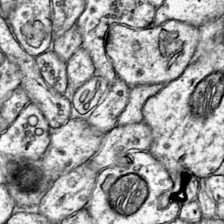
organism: Mouse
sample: Primary visual cortex